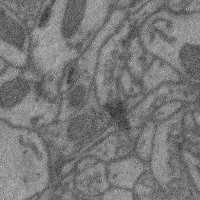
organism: Mouse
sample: Cerebral cortex